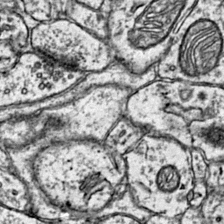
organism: Mouse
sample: Primary visual cortex